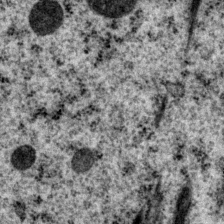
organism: P. pacificus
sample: Pharynx